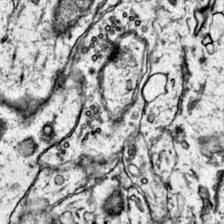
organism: Mouse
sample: Primary visual cortex